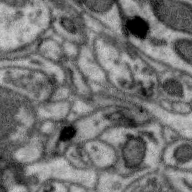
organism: Zebra finch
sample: Brain